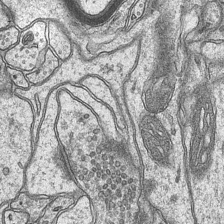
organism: Mouse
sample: CA1 Hippocampus